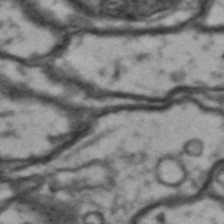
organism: Drosophila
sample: Brain